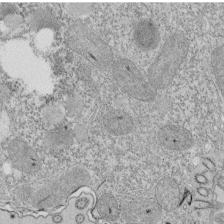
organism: Tetrahymena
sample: Cilia in tetrahymena